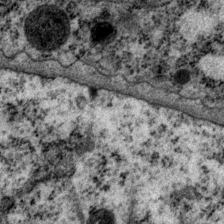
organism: P. pacificus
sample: Pharynx